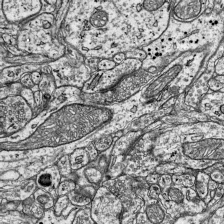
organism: Mouse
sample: Visual Cortex